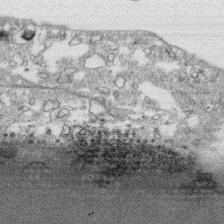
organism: Human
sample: CRL-1474